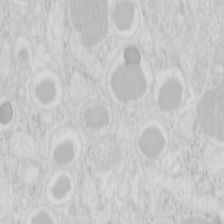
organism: Mouse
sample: Pancreas